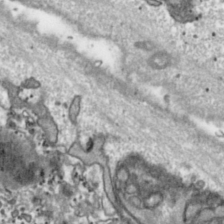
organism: Toxoplasma gondii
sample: Parasites in a vacuole inside a host cell